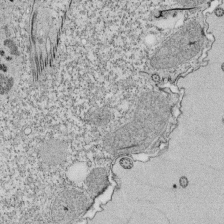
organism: Tetrahymena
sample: Cilia in tetrahymena